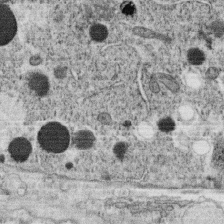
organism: C. elegans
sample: C. elegans oocyte; sperm cells